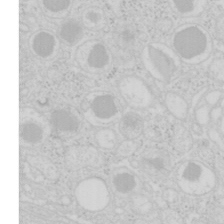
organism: Mouse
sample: Pancreas